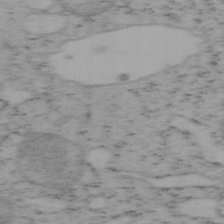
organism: Mouse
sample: OT-I killer T cells with ID8 ovarian cancer cells